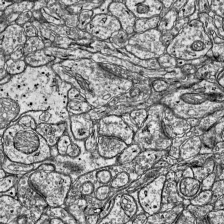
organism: Mouse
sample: Visual Cortex